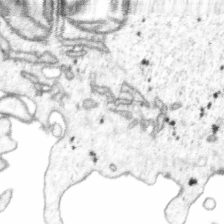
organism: Human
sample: HeLa cells